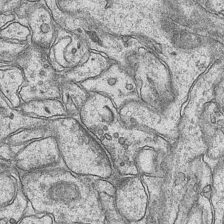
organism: Mouse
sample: CA1 Hippocampus